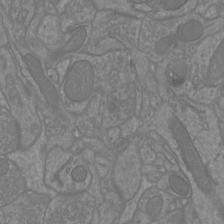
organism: Mouse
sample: Cortical neurons